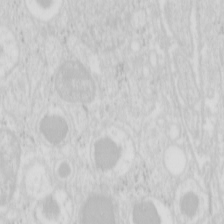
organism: Mouse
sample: Pancreas